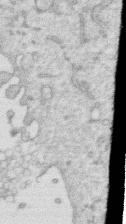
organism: Human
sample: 1205lu cells